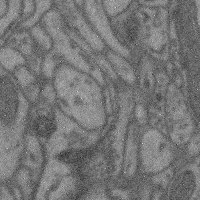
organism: Mouse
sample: Cerebral cortex